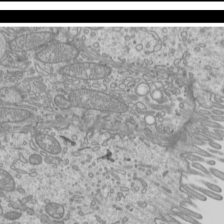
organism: Mouse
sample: Cilia; mouse epididymis